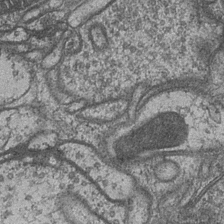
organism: Drosophila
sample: Optic medulla